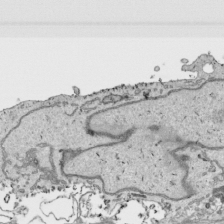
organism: Human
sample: Mitochondria in HCT116 cells